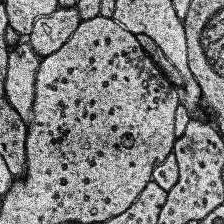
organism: Human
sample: Temporal Lobe